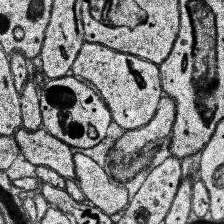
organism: Human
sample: Temporal Lobe